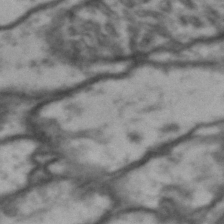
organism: Drosophila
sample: Brain